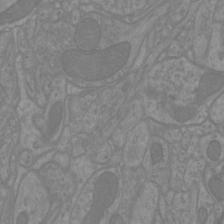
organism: Mouse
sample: Cortical neurons